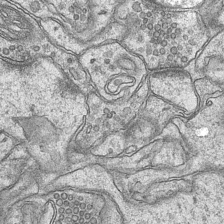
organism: Mouse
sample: CA1 Hippocampus